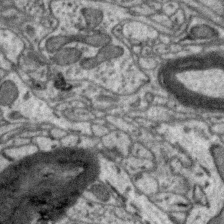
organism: Zebra finch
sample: Brain